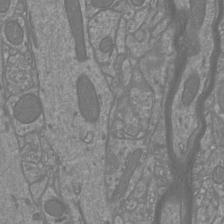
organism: Mouse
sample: Cortical neurons